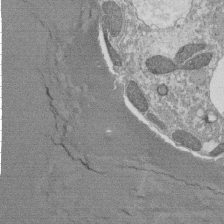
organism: Tetrahymena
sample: Cilia in tetrahymena